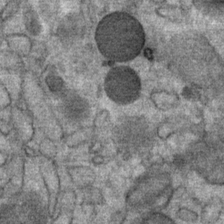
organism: Mouse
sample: Mouse Salivary gland